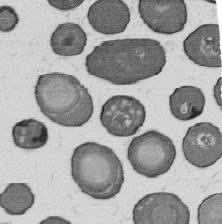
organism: B. subtilis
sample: Bacterial spore